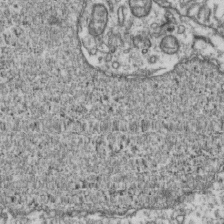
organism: Human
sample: Activated Jurkat CD4+ T cells